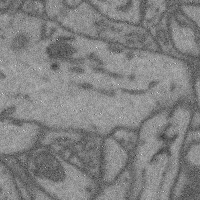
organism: Mouse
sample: Cerebral cortex